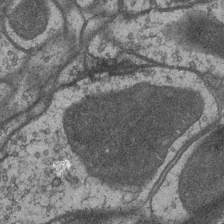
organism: Drosophila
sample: Optic medulla